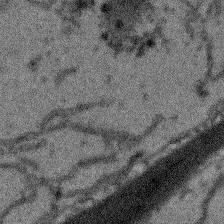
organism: Arabidopsis thaliana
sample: Root tip